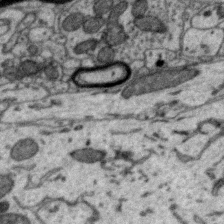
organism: Zebra finch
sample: Brain